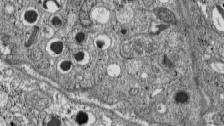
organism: C57BL Mouse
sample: Pancreatic islet